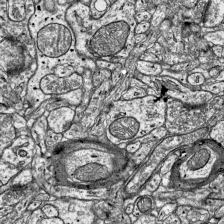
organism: Mouse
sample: Visual Cortex